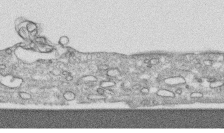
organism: Human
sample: CRL-1474